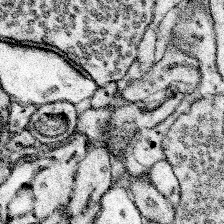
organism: Mouse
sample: Somatosensory cortex neuropil